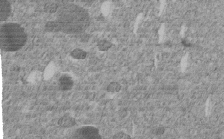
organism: C. elegans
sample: C. elegans embryo early stage